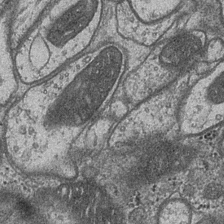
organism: Drosophila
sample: Optic medulla